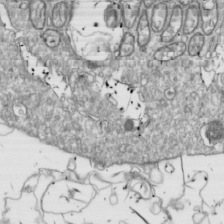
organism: Drosophila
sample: Cell division; meiosis; drosophila spermatocytes